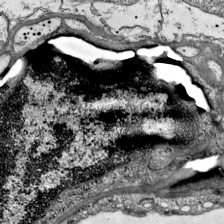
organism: Mouse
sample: Visual Cortex